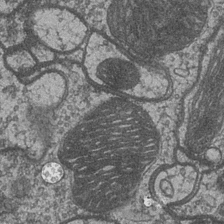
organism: Drosophila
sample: Optic medulla